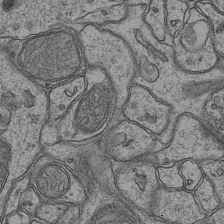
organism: Mouse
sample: CA1 Hippocampus